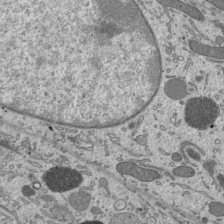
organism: Mouse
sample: Mouse epididymis efferent ductule cilia